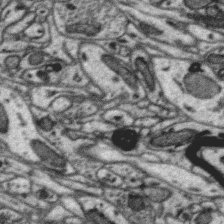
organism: Zebra finch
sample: Brain